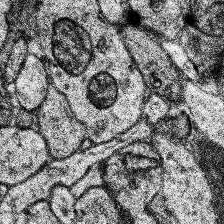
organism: Human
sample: Temporal Lobe